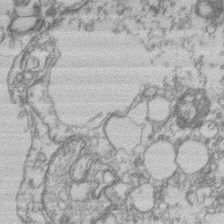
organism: Mouse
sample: T cell stromal cell synapse